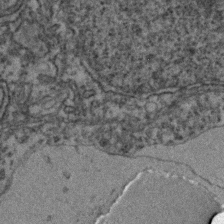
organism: Zebrafish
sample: Zebrafish embryo